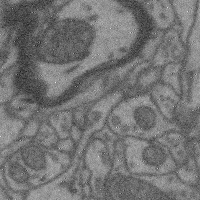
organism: Mouse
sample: Cerebral cortex